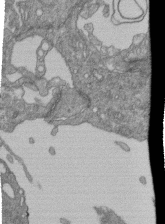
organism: Human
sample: Retinal organoid Rod and Cone cells